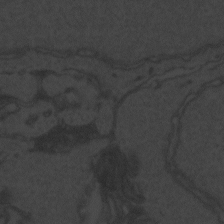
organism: Zebrafish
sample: Macrophage infected with Toxoplasma gondii